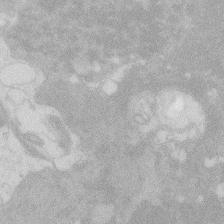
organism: Zebrafish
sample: Macrophage